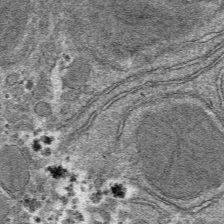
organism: Mouse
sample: Mouse hepatocytes